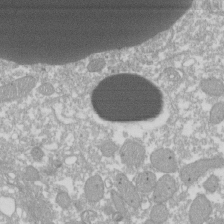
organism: Xenopus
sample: Cilia; centrioles in frog embryo cells